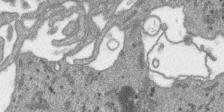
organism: Human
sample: Lung epithelial cells infected with SARS-CoV-2